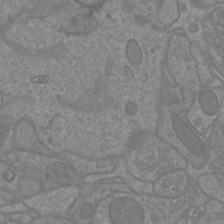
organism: Mouse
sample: Cortical neurons